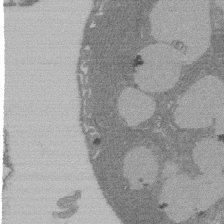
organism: Rat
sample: Salivary granule